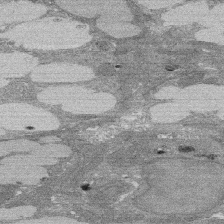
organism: Rat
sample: Salivary granule